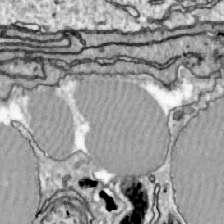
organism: Zebrafish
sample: Actinotrichia fibers